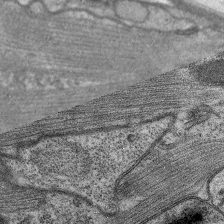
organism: C. elegans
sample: Pharynx